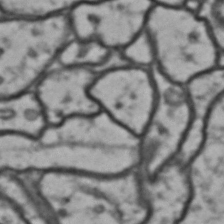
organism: Drosophila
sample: Brain